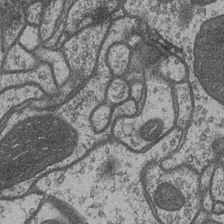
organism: Drosophila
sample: Optic medulla